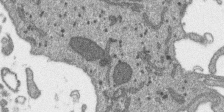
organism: Human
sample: Lung epithelial cells infected with SARS-CoV-2